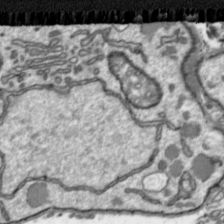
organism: Toxoplasma gondii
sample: Parasites in a vacuole inside a host cell